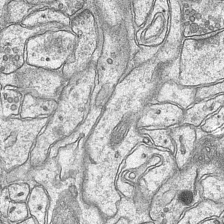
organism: Mouse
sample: CA1 Hippocampus